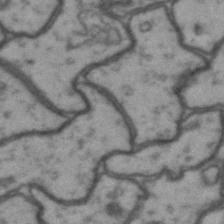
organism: Drosophila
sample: Brain